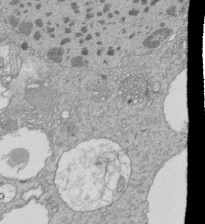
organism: Tetrahymena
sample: Cilia in tetrahymena